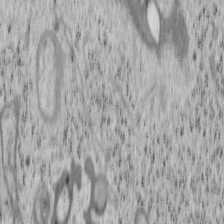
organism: Human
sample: HeLa cells